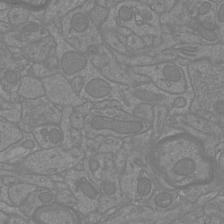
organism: Mouse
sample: Cortical neurons